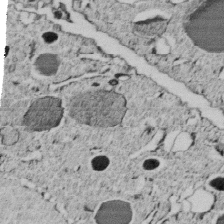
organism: C. elegans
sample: C. elegans embryo early stage